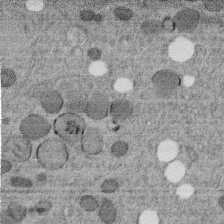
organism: C. elegans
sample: C. elegans embryo early stage